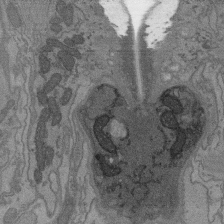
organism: C. elegans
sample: AFD neurons C. elegans